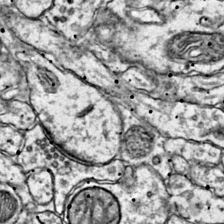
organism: Mouse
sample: Primary visual cortex